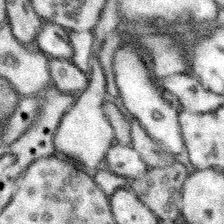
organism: Mouse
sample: Somatosensory cortex neuropil